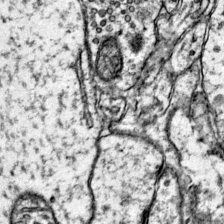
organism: Mouse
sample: Primary visual cortex